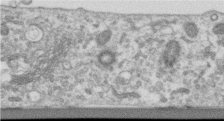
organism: Human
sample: Centriole in RPE cells